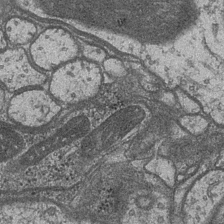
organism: Drosophila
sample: Optic medulla